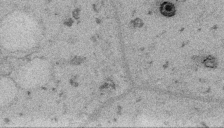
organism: Embia sp.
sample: Silk gland